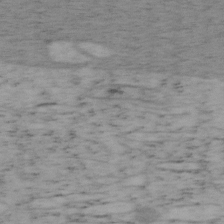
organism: Mouse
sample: OT-I killer T cells with ID8 ovarian cancer cells